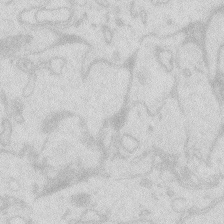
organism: Zebrafish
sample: Macrophage